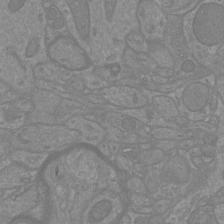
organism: Mouse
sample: Cortical neurons